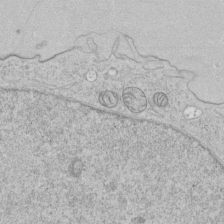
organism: Human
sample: Mitochondria in HCT116 cells